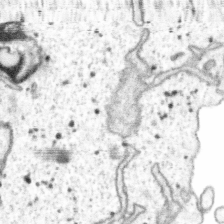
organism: Human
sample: HeLa cells